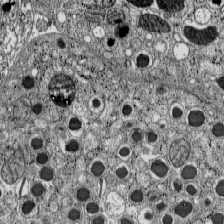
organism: C57BL Mouse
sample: Pancreatic islet